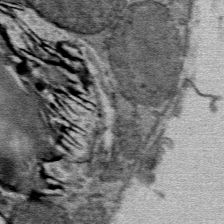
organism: Mouse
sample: Mouse Salivary gland